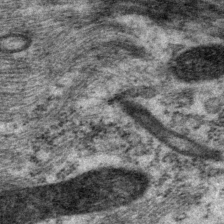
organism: P. pacificus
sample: Pharynx